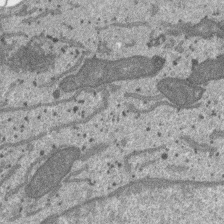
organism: Human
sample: Lung epithelial cells infected with SARS-CoV-2